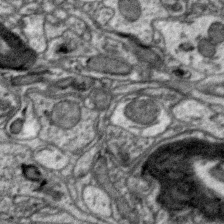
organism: Zebra finch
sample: Brain